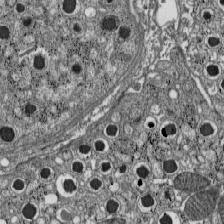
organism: C57BL Mouse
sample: Pancreatic islet